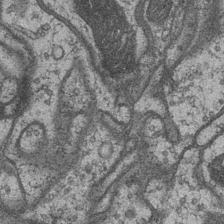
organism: Drosophila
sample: Optic medulla